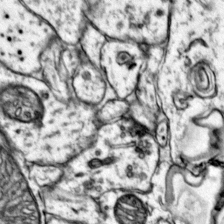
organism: Mouse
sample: Primary visual cortex